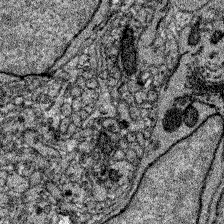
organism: Zebrafish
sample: Larval olfactory bulb